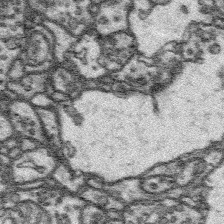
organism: Platynereis dumerilii